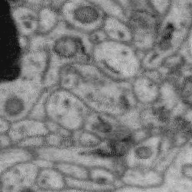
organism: Zebra finch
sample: Brain